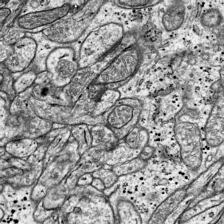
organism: Mouse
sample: Visual Cortex